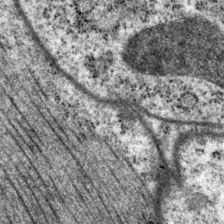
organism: P. pacificus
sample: Pharynx